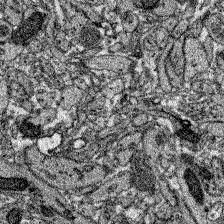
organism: Zebrafish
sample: Larval olfactory bulb